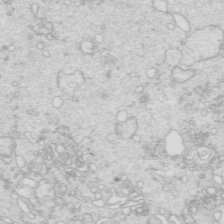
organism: Mouse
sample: Multiciliated cells